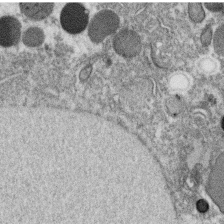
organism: C. elegans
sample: C. elegans oocyte; sperm cells